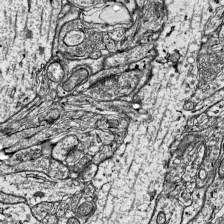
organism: Mouse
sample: Visual Cortex